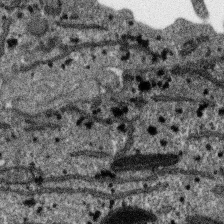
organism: Human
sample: Lung epithelial cells infected with SARS-CoV-2